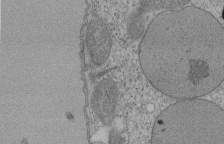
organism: Tetrahymena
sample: Cilia in tetrahymena